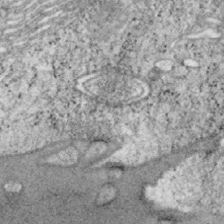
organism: Mouse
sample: OT-I killer T cells with ID8 ovarian cancer cells